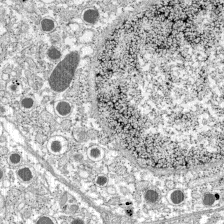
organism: C57BL Mouse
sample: Pancreatic islet